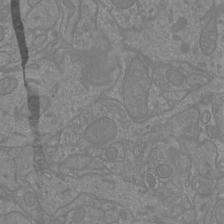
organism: Mouse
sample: Cortical neurons